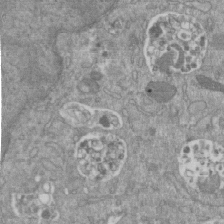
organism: Mouse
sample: ED-1 cell nuclei; centrioles